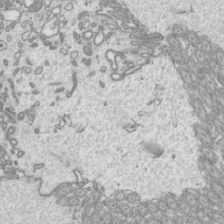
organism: Mouse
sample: Cilia; mouse epididymis